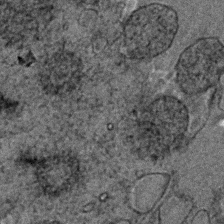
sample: Trachea